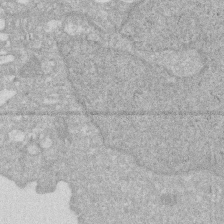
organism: Human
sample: HIV infected U937 cells